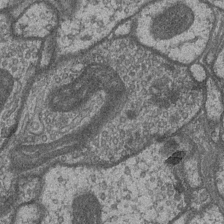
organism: Drosophila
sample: Optic medulla